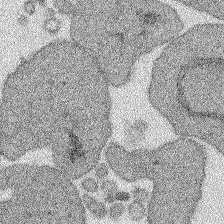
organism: Human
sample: HeLa cells